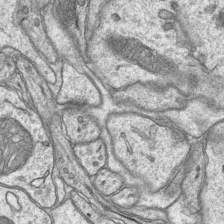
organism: Mouse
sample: CA1 Hippocampus